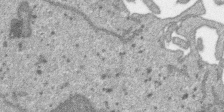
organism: Human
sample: Lung epithelial cells infected with SARS-CoV-2